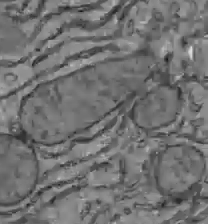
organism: C57BL Mouse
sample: Liver